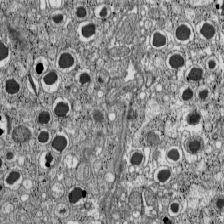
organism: C57BL Mouse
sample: Pancreatic islet